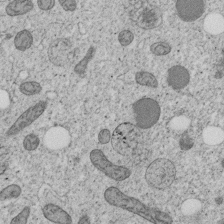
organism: C. elegans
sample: C. elegans embryo early stage